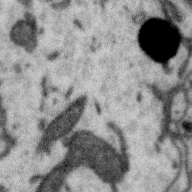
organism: Zebra finch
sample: Brain